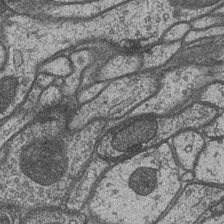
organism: Drosophila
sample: Optic medulla